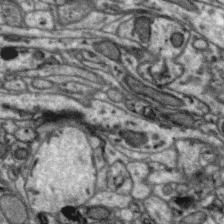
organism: Zebra finch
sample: Brain